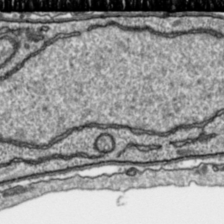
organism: Toxoplasma gondii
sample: Parasites in a vacuole inside a host cell